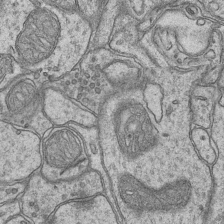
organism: Mouse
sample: CA1 Hippocampus